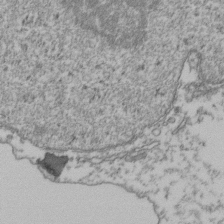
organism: Human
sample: Activated Jurkat CD4+ T cells